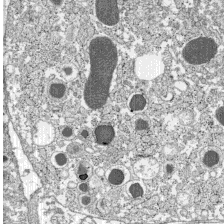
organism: C57BL Mouse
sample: Pancreatic islet